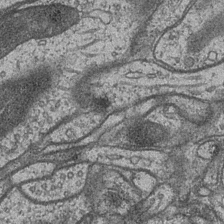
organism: Drosophila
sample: Optic medulla